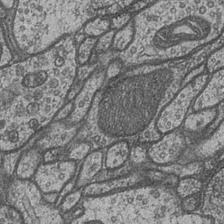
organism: Drosophila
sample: Optic medulla